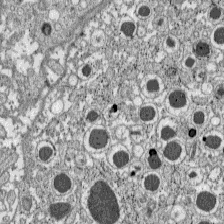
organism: C57BL Mouse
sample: Pancreatic islet